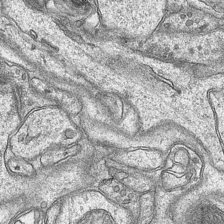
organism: Mouse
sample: CA1 Hippocampus